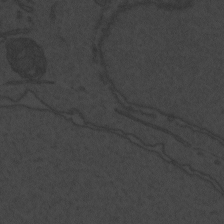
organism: Zebrafish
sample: Macrophage infected with Toxoplasma gondii